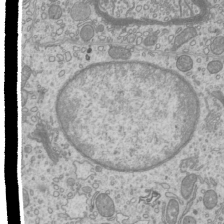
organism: Mouse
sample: Cilia; mouse epididymis